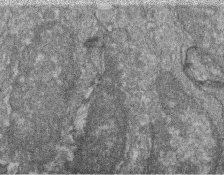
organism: Zebrafish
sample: Cilia; retinal pigment epithelium